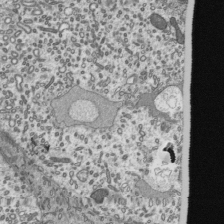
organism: Mouse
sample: Mouse epididymis efferent ductule cilia